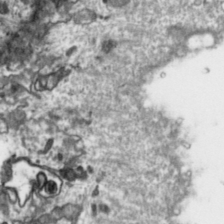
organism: Toxoplasma gondii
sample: Parasites in a vacuole inside a host cell